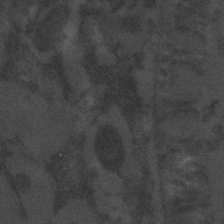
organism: C. elegans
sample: C. elegans embryo